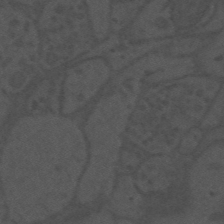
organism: Mouse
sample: Suprachiasmatic nucleus